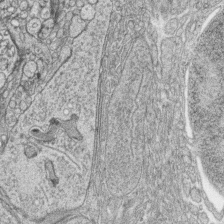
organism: Zebrafish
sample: synaptic ribbons in rod cells and cone cells